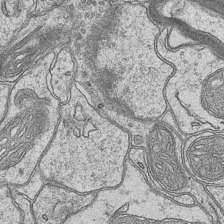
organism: Mouse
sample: CA1 Hippocampus